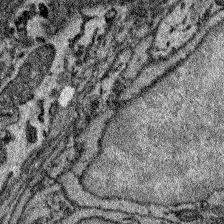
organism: Zebrafish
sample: Larval olfactory bulb